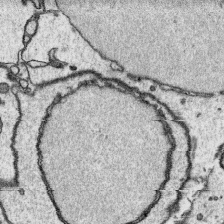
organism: Platynereis dumerilii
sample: Parapodia